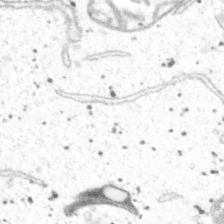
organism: Human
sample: HeLa cells